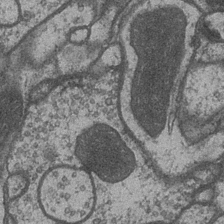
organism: Drosophila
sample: Optic medulla